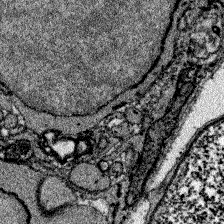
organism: Zebrafish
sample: Larval olfactory bulb